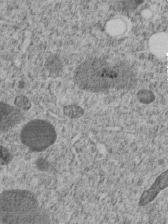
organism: C. elegans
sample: C. elegans embryo early stage